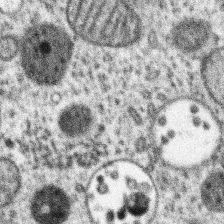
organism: Human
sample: HeLa cells